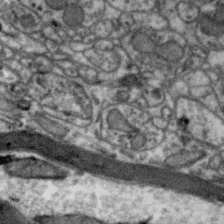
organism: Zebra finch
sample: Brain